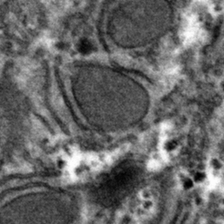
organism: Mouse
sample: Mouse hepatocytes